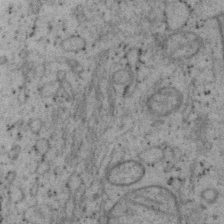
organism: Human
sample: HeLa cells